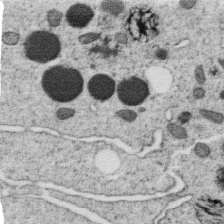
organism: C. elegans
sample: C. elegans oocyte; sperm cells